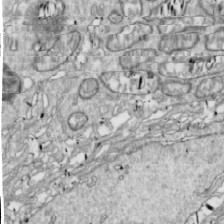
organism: Drosophila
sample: Cell division; meiosis; drosophila spermatocytes